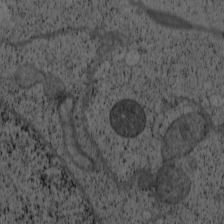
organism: African green monkey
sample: COS-7 cells